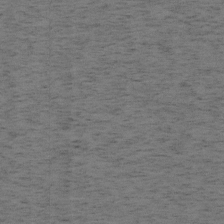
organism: Mouse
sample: OT-I killer T cells with ID8 ovarian cancer cells